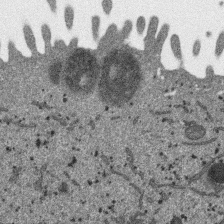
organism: Human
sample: Lung epithelial cells infected with SARS-CoV-2